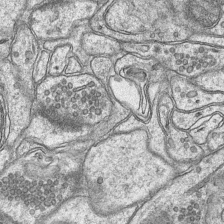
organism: Mouse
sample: CA1 Hippocampus